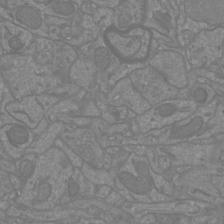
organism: Mouse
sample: Cortical neurons